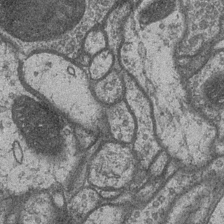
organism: Drosophila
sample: Optic medulla